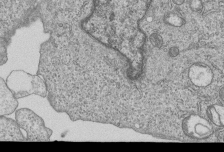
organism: Human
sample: MDA-MB-231 cells